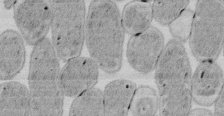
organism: E. coli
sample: Bacterial nucleoid